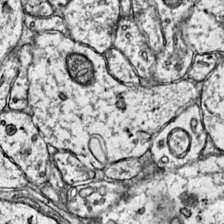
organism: Mouse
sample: Primary visual cortex